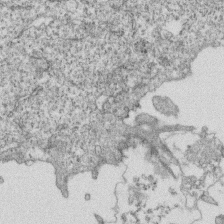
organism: Human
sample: HeLa cell HIV synapse